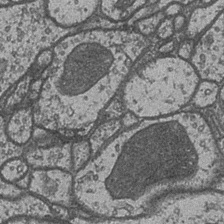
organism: Drosophila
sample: Optic medulla